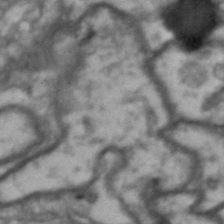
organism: Drosophila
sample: Brain